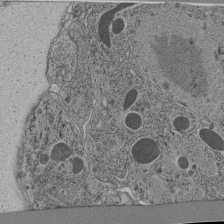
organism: C. elegans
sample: C. elegans pharynx